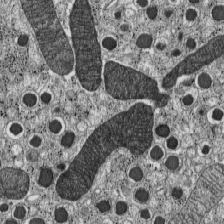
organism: C57BL Mouse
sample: Pancreatic islet